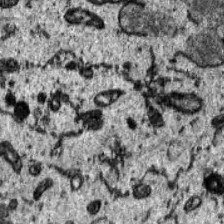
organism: Human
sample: HeLa cells